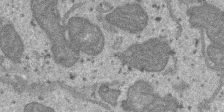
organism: Human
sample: Lung epithelial cells infected with SARS-CoV-2